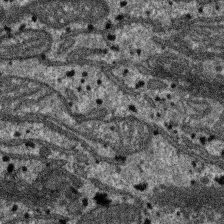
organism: Human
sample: Lung epithelial cells infected with SARS-CoV-2